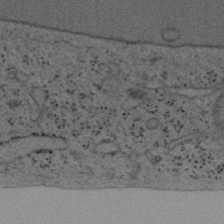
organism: Human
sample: HeLa cells